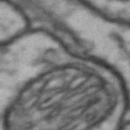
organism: Drosophila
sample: Brain